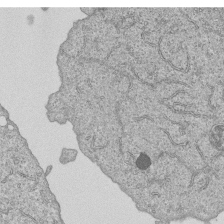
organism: Human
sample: MDA-MB-231 cells